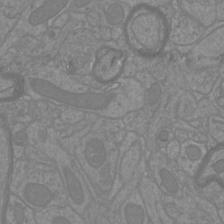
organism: Mouse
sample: Cortical neurons